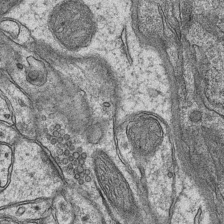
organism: Mouse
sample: CA1 Hippocampus